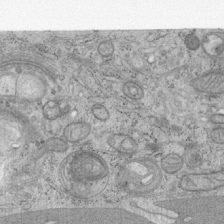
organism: Human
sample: HeLa cells